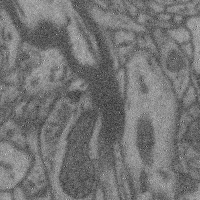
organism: Mouse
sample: Cerebral cortex